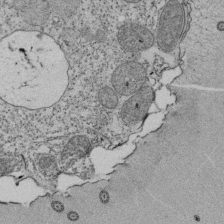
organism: Tetrahymena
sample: Cilia in tetrahymena